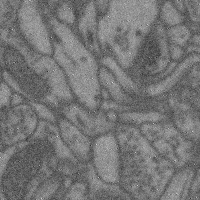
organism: Mouse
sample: Cerebral cortex